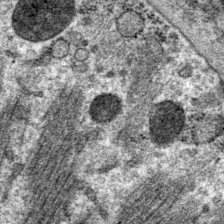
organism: P. pacificus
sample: Pharynx